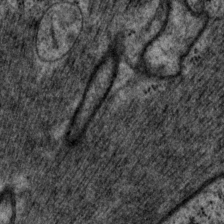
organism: P. pacificus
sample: Pharynx